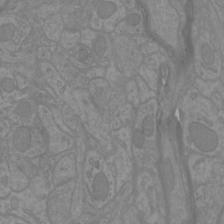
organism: Mouse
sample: Cortical neurons